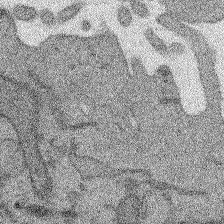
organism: Human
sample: HeLa cells